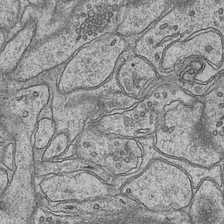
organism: Mouse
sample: CA1 Hippocampus